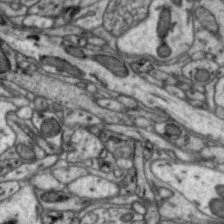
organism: Zebra finch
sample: Brain